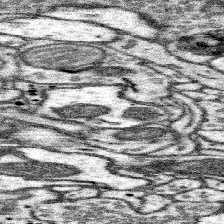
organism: Mouse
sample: Somatosensory cortex neuropil